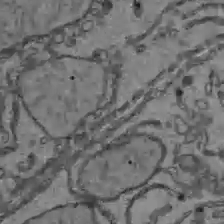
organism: C57BL Mouse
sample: Liver